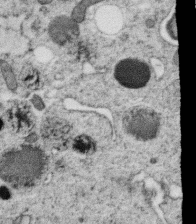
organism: C. elegans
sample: C. elegans oocyte; sperm cells